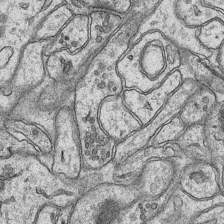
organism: Mouse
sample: CA1 Hippocampus